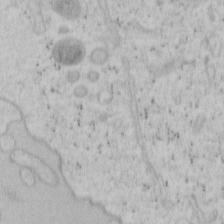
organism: Human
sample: HeLa cells